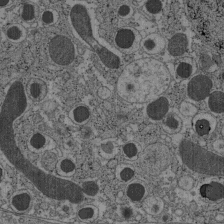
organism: C57BL Mouse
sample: Pancreatic islet